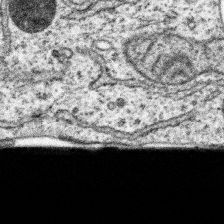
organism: Human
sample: HeLa cells